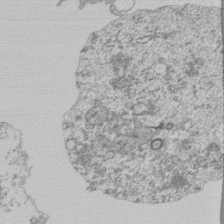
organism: Mouse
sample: Activated Pmel transgenic CD8+ T Cells